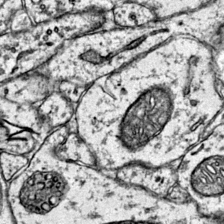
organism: Mouse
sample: Primary visual cortex